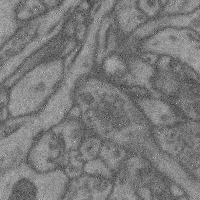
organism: Mouse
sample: Cerebral cortex